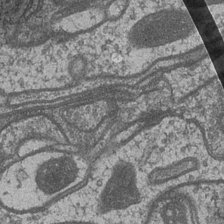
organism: Drosophila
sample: Optic medulla